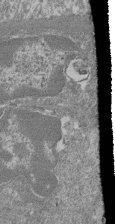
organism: Mouse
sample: Glomerulus